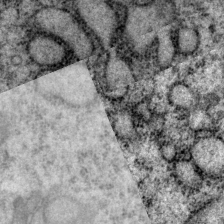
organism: P. pacificus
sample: Pharynx